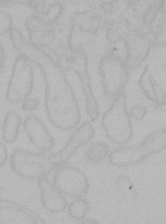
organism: Mouse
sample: Choroid plexus